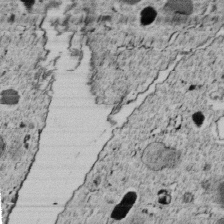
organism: C. elegans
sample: C. elegans embryo early stage